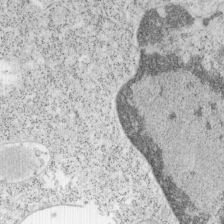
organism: Mouse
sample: OT-I killer T cells with ID8 ovarian cancer cells